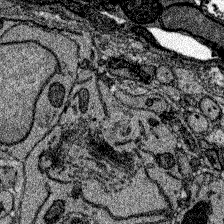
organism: Zebrafish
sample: Larval olfactory bulb